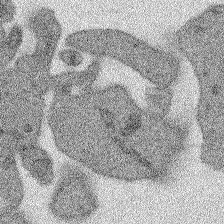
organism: Human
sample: HeLa cells